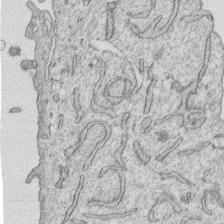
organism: Human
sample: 1205lu cells